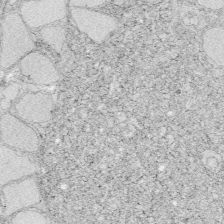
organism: Zebrafish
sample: Whole-Brain